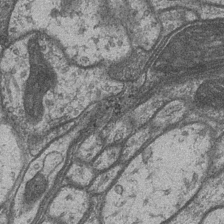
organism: Drosophila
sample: Optic medulla